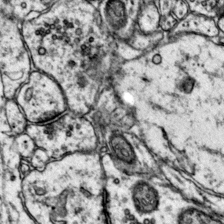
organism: Mouse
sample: Primary visual cortex